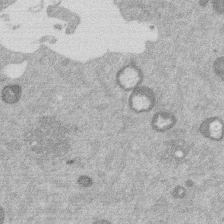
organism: Mouse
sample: Dividing mouse embryo 1 cell stage